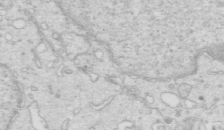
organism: Mouse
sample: Multiciliated cells